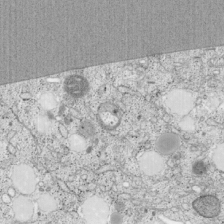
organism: African green monkey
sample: COS-7 cells